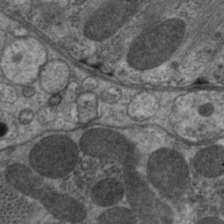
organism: C. elegans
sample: Pharynx